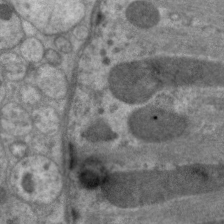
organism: C. elegans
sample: Pharynx